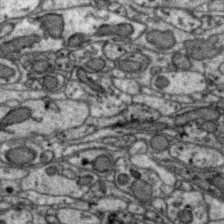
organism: Zebra finch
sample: Brain